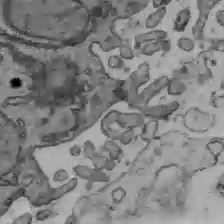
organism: C57BL Mouse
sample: Liver